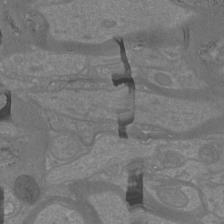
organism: Mouse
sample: Cortical neurons